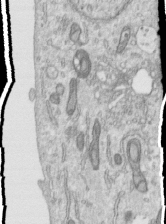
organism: Human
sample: Centriole in RPE cells